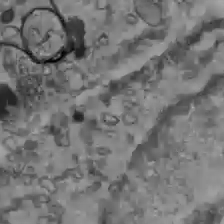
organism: C57BL Mouse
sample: Liver